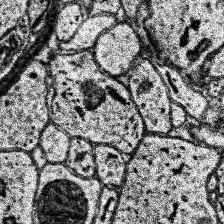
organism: Human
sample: Temporal Lobe